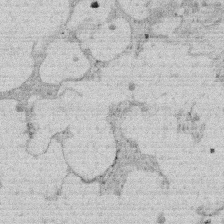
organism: Rat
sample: Salivary granule